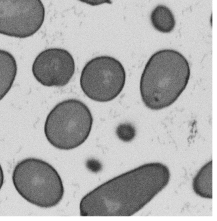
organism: B. subtilis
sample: Bacterial spore